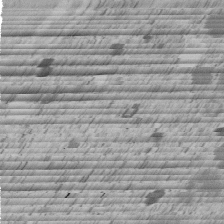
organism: C. elegans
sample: C. elegans embryo early stage